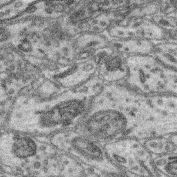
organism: Mouse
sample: Retina